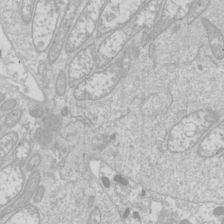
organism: Drosophila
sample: Cell division; meiosis; drosophila spermatocytes